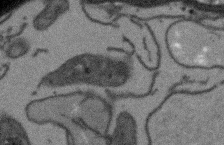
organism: Arabidopsis thaliana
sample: Root tip